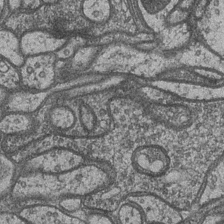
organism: Drosophila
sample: Optic medulla